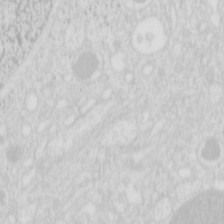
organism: Mouse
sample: Pancreas